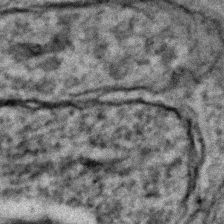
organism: C. elegans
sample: C. elegans embryo